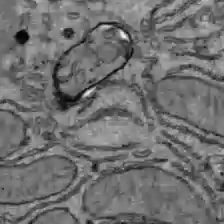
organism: C57BL Mouse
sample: Liver